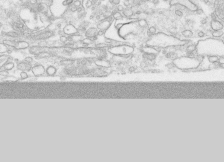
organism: Human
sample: CRL-1474